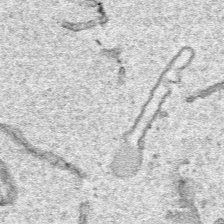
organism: Human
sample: Mitochondria in HCT116 cells